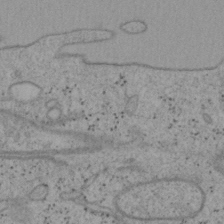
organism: Human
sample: HeLa cells